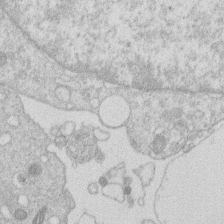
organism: Human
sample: Macrophage cells